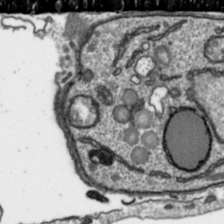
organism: Toxoplasma gondii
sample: Parasites in a vacuole inside a host cell